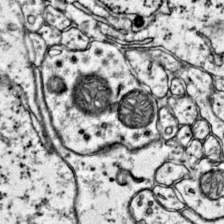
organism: Mouse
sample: Primary visual cortex